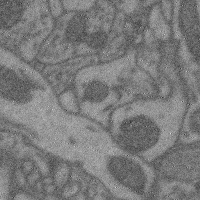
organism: Mouse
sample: Cerebral cortex